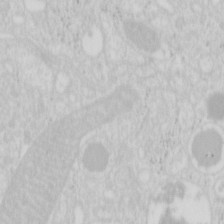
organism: Mouse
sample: Pancreas